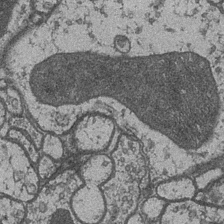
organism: Drosophila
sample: Optic medulla